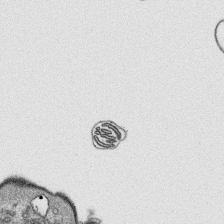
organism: Platynereis dumerilii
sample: Parapodia